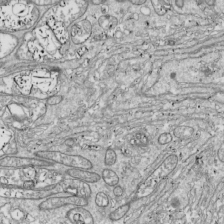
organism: Drosophila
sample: Cell division; meiosis; drosophila spermatocytes